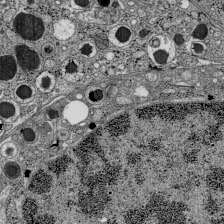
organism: C57BL Mouse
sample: Pancreatic islet